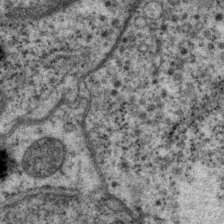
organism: P. pacificus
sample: Pharynx